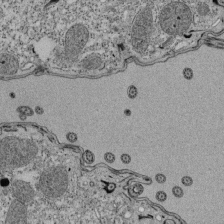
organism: Tetrahymena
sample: Cilia in tetrahymena